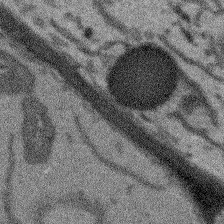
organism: Arabidopsis thaliana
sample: Root tip